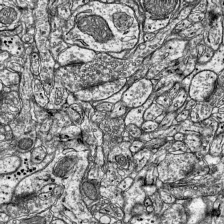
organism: Mouse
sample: Visual Cortex